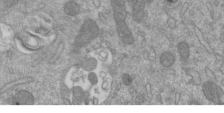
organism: Mouse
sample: ED-1 cell nuclei; centrioles